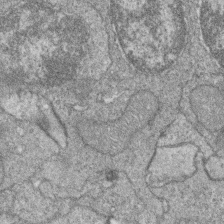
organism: Zebrafish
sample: Cilia; retinal pigment epithelium